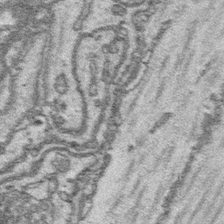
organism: Platynereis dumerilii